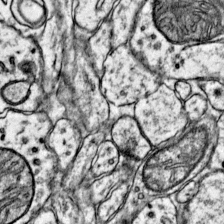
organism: Mouse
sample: Primary visual cortex